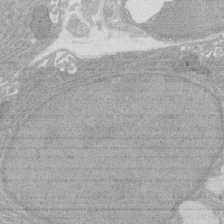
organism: Rat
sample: Salivary granule